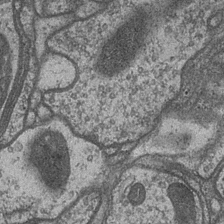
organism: Drosophila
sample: Optic medulla